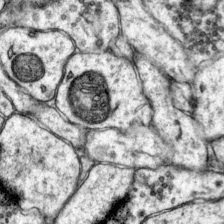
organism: Mouse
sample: Primary visual cortex